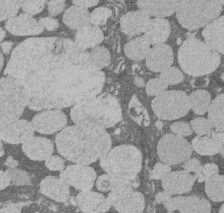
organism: Rat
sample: Salivary granule